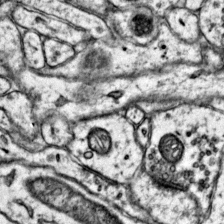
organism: Mouse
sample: Primary visual cortex